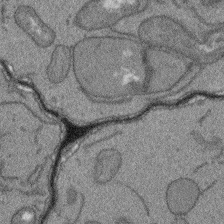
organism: Arabidopsis thaliana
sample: Root tip